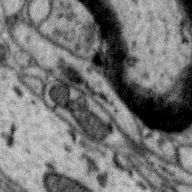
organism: Zebra finch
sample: Brain